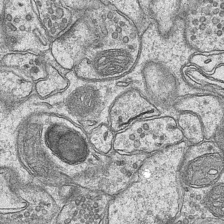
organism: Mouse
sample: CA1 Hippocampus